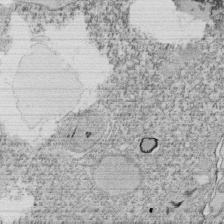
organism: Tetrahymena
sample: Cilia in tetrahymena